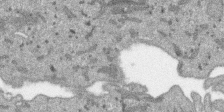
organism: Human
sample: Lung epithelial cells infected with SARS-CoV-2